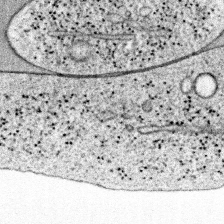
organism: Human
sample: HeLa cells